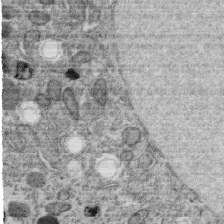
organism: C. elegans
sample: C. elegans oocyte; sperm cells